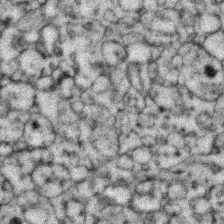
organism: Zebrafish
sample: Zebrafish embryo